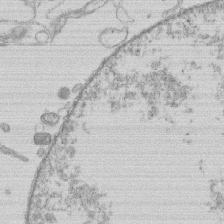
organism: Human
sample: Macrophage cells